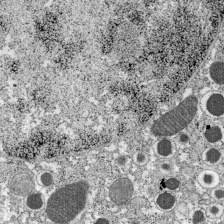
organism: C57BL Mouse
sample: Pancreatic islet